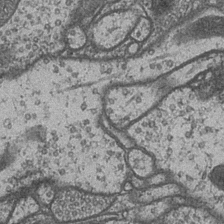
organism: Drosophila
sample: Optic medulla